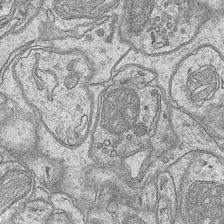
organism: Mouse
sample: CA1 Hippocampus